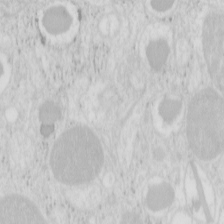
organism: Mouse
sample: Pancreas